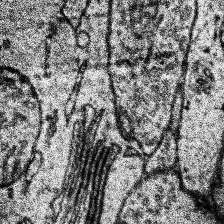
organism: Human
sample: Temporal Lobe